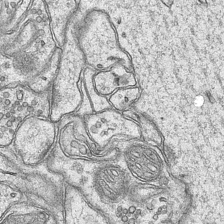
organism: Mouse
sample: CA1 Hippocampus